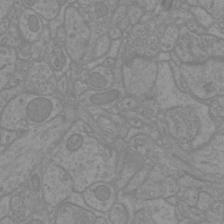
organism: Mouse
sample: Cortical neurons